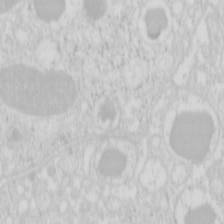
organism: Mouse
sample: Pancreas